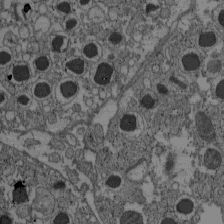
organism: C57BL Mouse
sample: Pancreatic islet